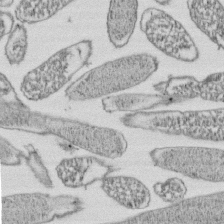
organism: E. coli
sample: Bacterial nucleoid